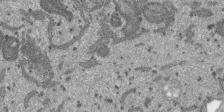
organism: Human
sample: Lung epithelial cells infected with SARS-CoV-2